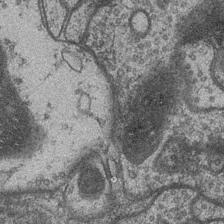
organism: Drosophila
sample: Optic medulla